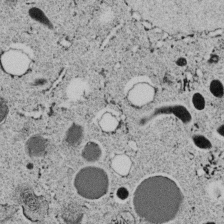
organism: C. elegans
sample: C. elegans embryo early stage